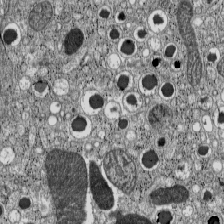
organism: C57BL Mouse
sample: Pancreatic islet